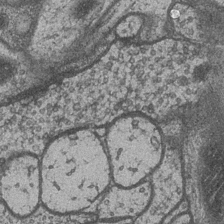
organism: Drosophila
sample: Optic medulla